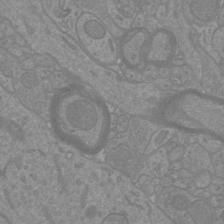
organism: Mouse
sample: Cortical neurons